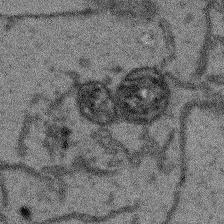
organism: Arabidopsis thaliana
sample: Root tip